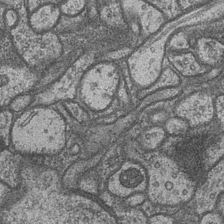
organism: Drosophila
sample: Optic medulla